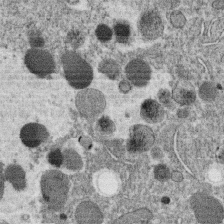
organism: C. elegans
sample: C. elegans oocyte; sperm cells